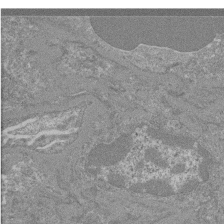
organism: Mouse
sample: Glomerulus